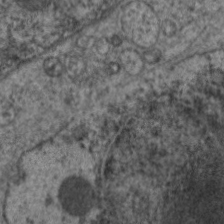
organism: C. elegans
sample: Pharynx